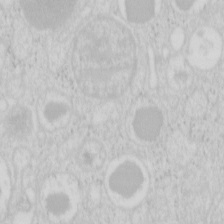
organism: Mouse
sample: Pancreas